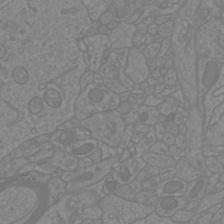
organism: Mouse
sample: Cortical neurons